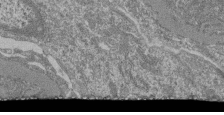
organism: Mouse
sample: Glomerulus